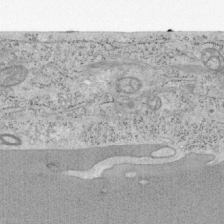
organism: Human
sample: HeLa cells